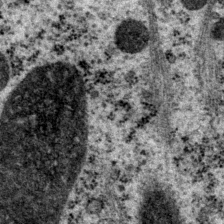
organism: P. pacificus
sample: Pharynx